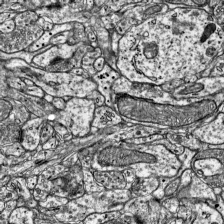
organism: Mouse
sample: Visual Cortex